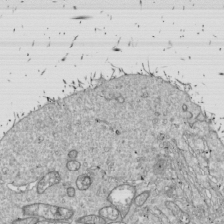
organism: Drosophila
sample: Cell division; meiosis; drosophila spermatocytes